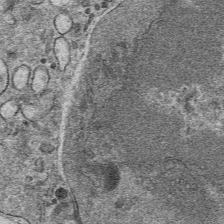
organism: Mouse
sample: Mouse hepatocytes